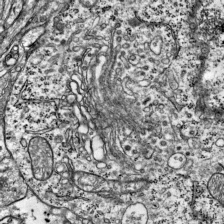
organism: Mouse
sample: Visual Cortex